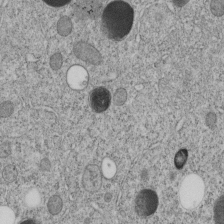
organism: C. elegans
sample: C. elegans embryo early stage